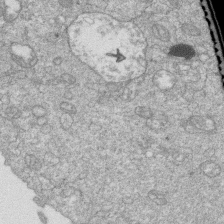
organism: Human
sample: HeLa cell HIV synapse